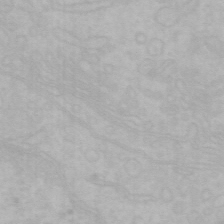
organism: Mouse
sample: Choroid plexus